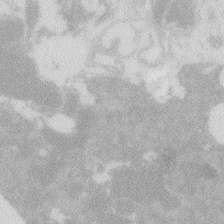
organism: Zebrafish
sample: Macrophage